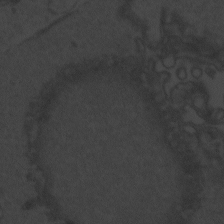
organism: Zebrafish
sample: Macrophage infected with Toxoplasma gondii